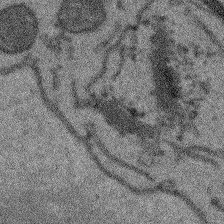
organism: Arabidopsis thaliana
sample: Root tip